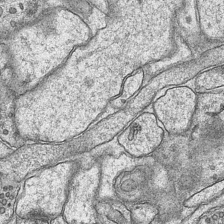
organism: Mouse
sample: CA1 Hippocampus